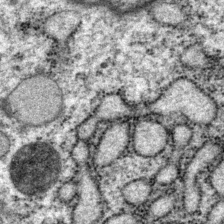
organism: P. pacificus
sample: Pharynx